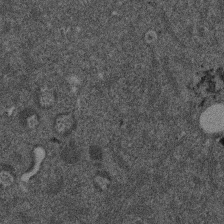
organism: Mouse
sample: Dividing mouse embryo 1 cell stage